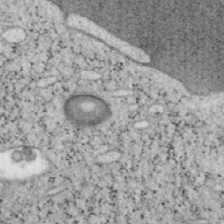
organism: Mouse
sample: OT-I killer T cells with ID8 ovarian cancer cells